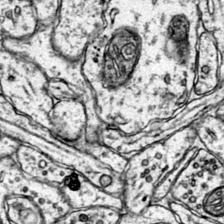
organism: Mouse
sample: Primary visual cortex